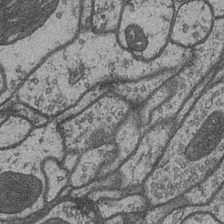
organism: Drosophila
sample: Optic medulla